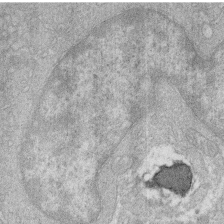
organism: Human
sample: Macrophage cells